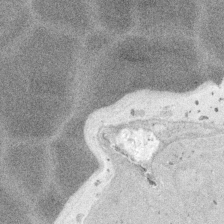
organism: Embia sp.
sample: Silk gland